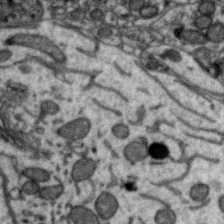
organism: Zebra finch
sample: Brain